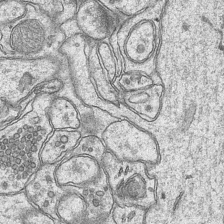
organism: Mouse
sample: CA1 Hippocampus